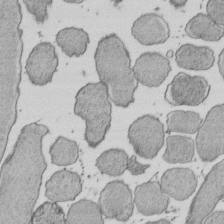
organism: E. coli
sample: Bacterial nucleoid